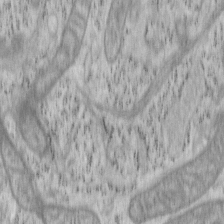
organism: Human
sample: HeLa cells